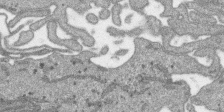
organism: Human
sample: Lung epithelial cells infected with SARS-CoV-2